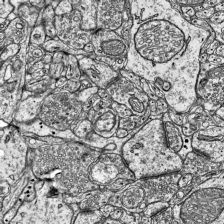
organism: Mouse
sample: Visual Cortex